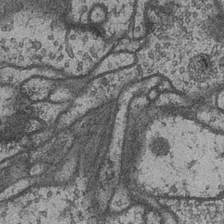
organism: Drosophila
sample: Optic medulla